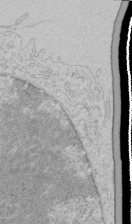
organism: Human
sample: Mitochondria in HCT116 cells